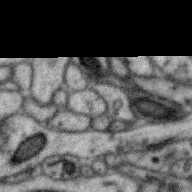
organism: Zebra finch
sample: Brain